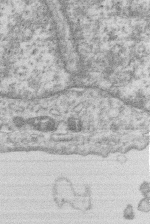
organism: Human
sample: Macrophage cells